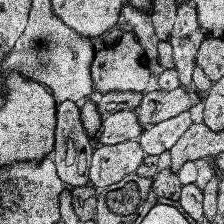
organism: Human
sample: Temporal Lobe